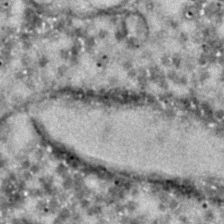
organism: C. elegans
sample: C. elegans embryo